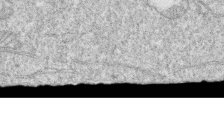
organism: Human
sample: HeLa cell HIV synapse